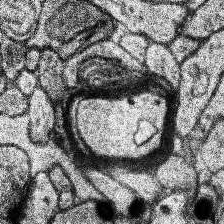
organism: Human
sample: Temporal Lobe